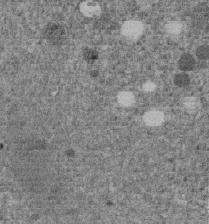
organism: C. elegans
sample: C. elegans embryo early stage